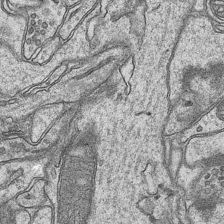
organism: Mouse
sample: CA1 Hippocampus